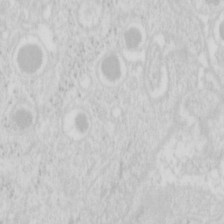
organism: Mouse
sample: Pancreas